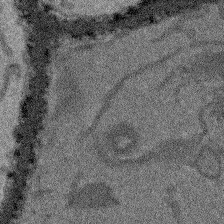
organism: Arabidopsis thaliana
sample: Root tip